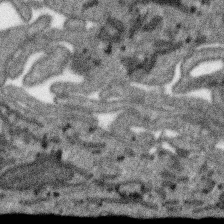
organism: Human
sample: Lung epithelial cells infected with SARS-CoV-2